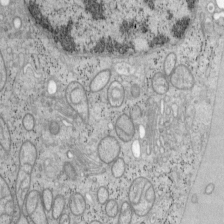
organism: Mouse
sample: OT-I killer T cells with ID8 ovarian cancer cells